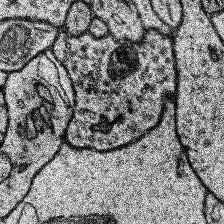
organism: Human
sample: Temporal Lobe